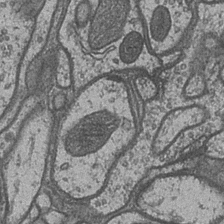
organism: Drosophila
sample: Optic medulla